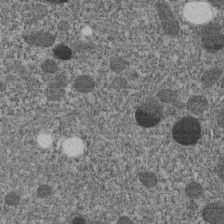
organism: C. elegans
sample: C. elegans embryo early stage